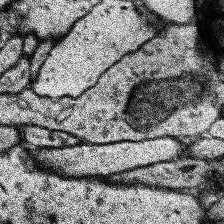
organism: Human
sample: Temporal Lobe